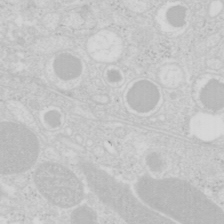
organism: Mouse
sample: Pancreas